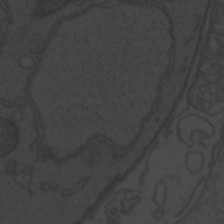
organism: Zebrafish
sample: Macrophage infected with Toxoplasma gondii